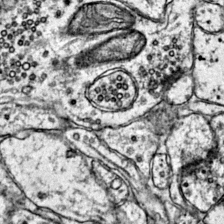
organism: Mouse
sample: Primary visual cortex